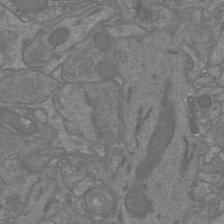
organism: Mouse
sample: Cortical neurons